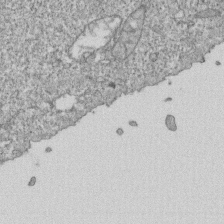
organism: Human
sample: HeLa cell HIV synapse